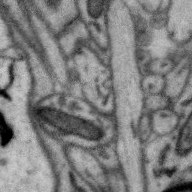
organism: Zebra finch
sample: Brain